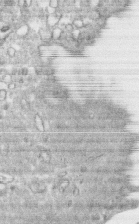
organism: Human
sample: CRL-1474